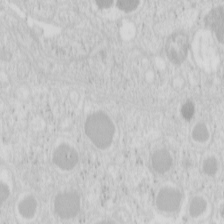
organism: Mouse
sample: Pancreas